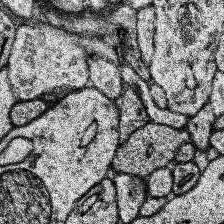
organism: Human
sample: Temporal Lobe